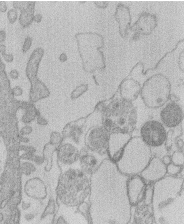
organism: Human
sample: Macrophage cells